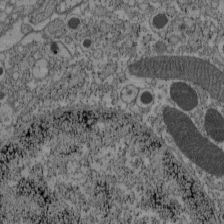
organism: C57BL Mouse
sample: Pancreatic islet